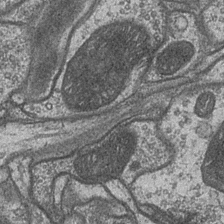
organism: Drosophila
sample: Optic medulla